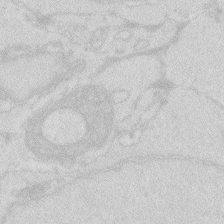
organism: Zebrafish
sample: Macrophage